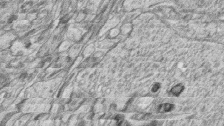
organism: Zebrafish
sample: synaptic ribbons in rod cells and cone cells